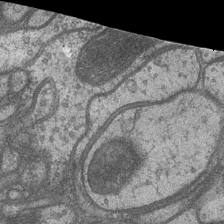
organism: Drosophila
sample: Optic medulla